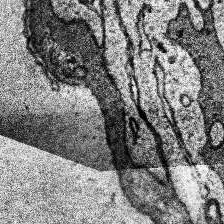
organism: Human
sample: Temporal Lobe